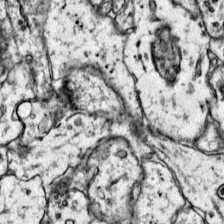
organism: Mouse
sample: Primary visual cortex